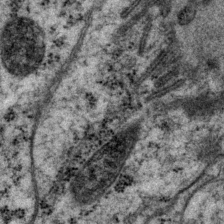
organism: P. pacificus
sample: Pharynx